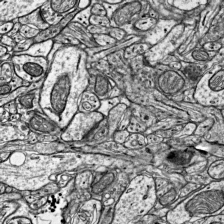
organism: Mouse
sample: Visual Cortex